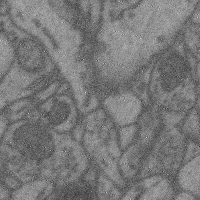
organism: Mouse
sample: Cerebral cortex